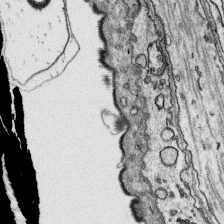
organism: Platynereis dumerilii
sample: Parapodia